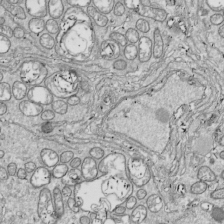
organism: Drosophila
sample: Cell division; meiosis; drosophila spermatocytes